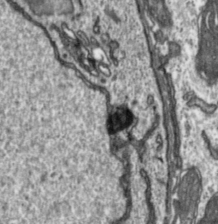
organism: Toxoplasma gondii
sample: Parasites in a vacuole inside a host cell